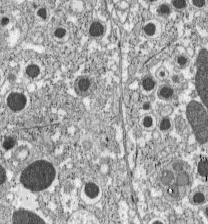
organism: C57BL Mouse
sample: Pancreatic islet